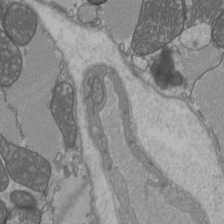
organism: C57BL Mouse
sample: Heart